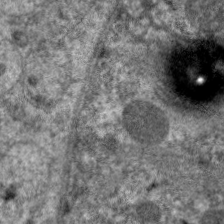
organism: C. elegans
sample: Pharynx